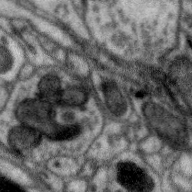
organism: Zebra finch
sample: Brain